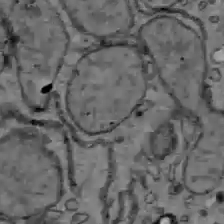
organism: C57BL Mouse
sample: Liver